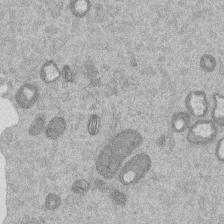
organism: Mouse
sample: Dividing mouse embryo 1 cell stage